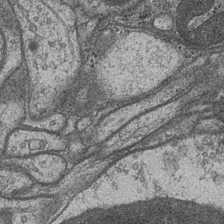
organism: Drosophila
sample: Optic medulla